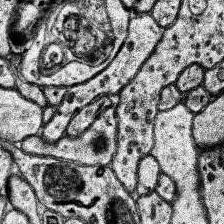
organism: Human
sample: Temporal Lobe